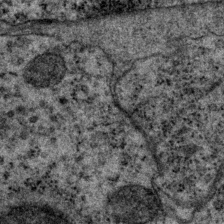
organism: P. pacificus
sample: Pharynx